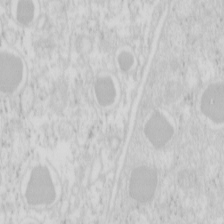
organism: Mouse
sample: Pancreas